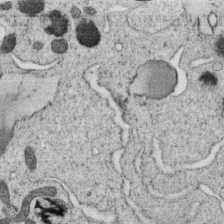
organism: C. elegans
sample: C. elegans oocyte; sperm cells